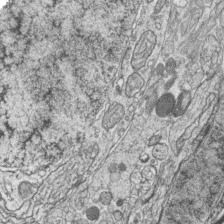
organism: Zebrafish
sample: synaptic ribbons in rod cells and cone cells